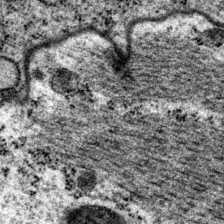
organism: P. pacificus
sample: Pharynx